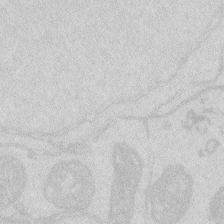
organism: Zebrafish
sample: Macrophage